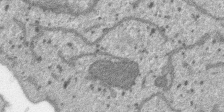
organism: Human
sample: Lung epithelial cells infected with SARS-CoV-2